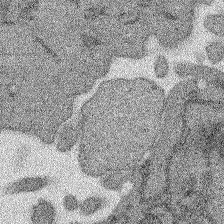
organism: Human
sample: HeLa cells